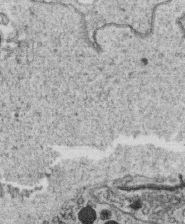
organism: C. elegans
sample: C. elegans oocyte; sperm cells